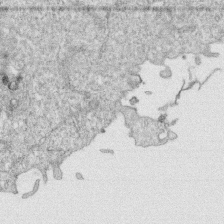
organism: Human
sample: HeLa cell HIV synapse